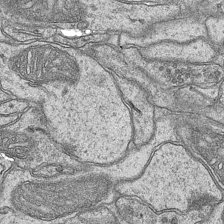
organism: Mouse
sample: CA1 Hippocampus